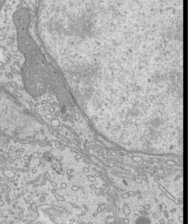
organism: Mouse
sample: Cilia; mouse epididymis